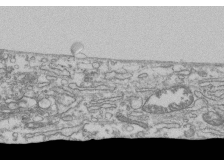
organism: Human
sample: Fibroblast cells